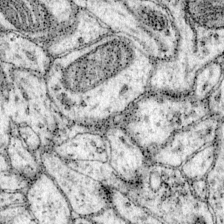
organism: Mouse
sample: Primary visual cortex